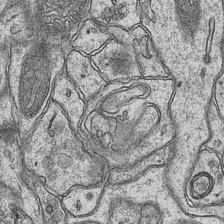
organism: Mouse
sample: CA1 Hippocampus